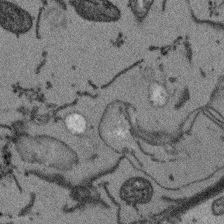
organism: Arabidopsis thaliana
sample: Root tip